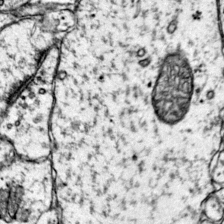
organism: Mouse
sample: Primary visual cortex